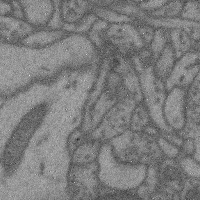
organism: Mouse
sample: Cerebral cortex